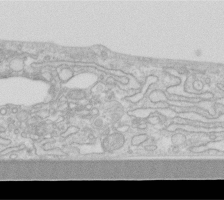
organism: Human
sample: Fibroblast cells